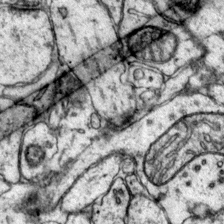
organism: Mouse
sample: Primary visual cortex